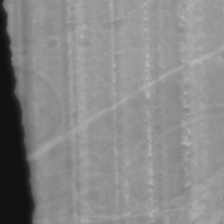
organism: Zebrafish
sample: Zebrafish embryo